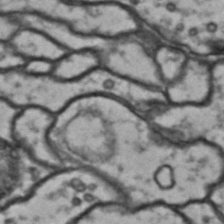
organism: Drosophila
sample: Brain